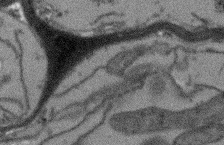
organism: Arabidopsis thaliana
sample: Root tip